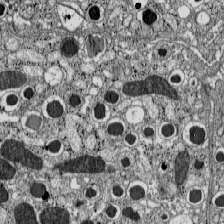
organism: C57BL Mouse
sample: Pancreatic islet